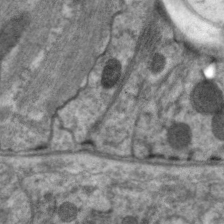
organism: C. elegans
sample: Pharynx